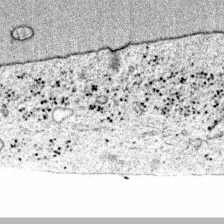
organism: Human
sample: HeLa cells